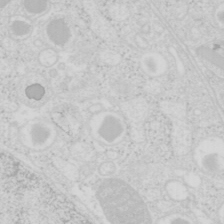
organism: Mouse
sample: Pancreas